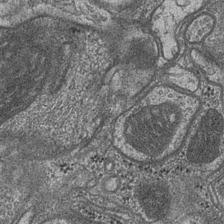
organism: Drosophila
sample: Optic medulla